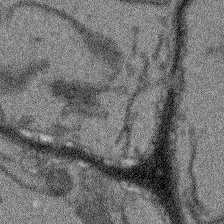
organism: Arabidopsis thaliana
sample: Root tip